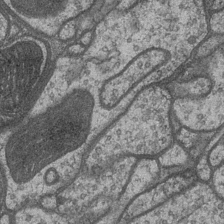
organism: Drosophila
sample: Optic medulla